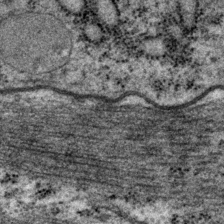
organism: P. pacificus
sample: Pharynx